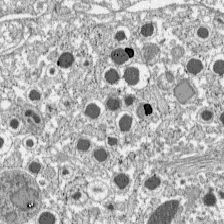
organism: C57BL Mouse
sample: Pancreatic islet